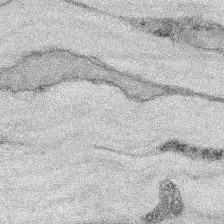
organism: Mouse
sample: Corneal nerves